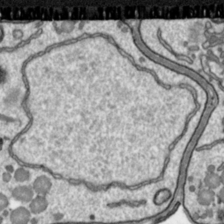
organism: Toxoplasma gondii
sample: Parasites in a vacuole inside a host cell